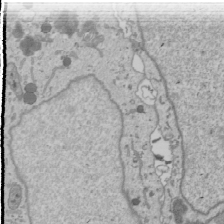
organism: Human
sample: Mitochondria in U2OS cells